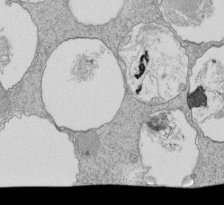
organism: Tetrahymena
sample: Cilia in tetrahymena